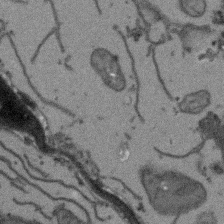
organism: Arabidopsis thaliana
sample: Root tip